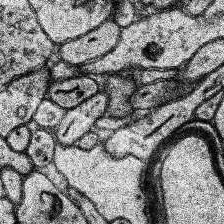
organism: Human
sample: Temporal Lobe